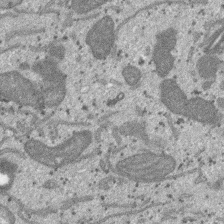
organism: Human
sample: Lung epithelial cells infected with SARS-CoV-2